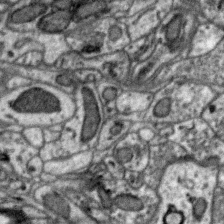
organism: Zebra finch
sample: Brain